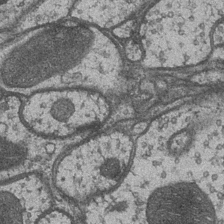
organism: Drosophila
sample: Optic medulla